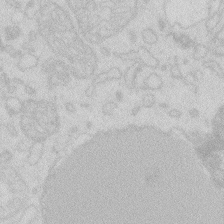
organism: Zebrafish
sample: Macrophage